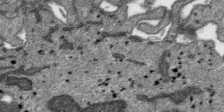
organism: Human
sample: Lung epithelial cells, uninfected (mock) control